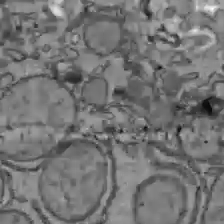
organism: C57BL Mouse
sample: Liver